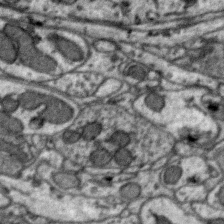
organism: Zebra finch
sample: Brain